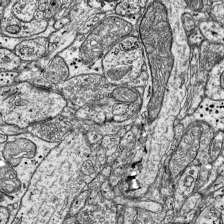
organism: Mouse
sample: Visual Cortex